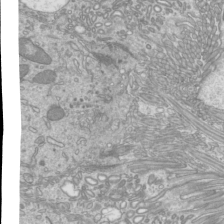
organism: Mouse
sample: Cilia; mouse epididymis